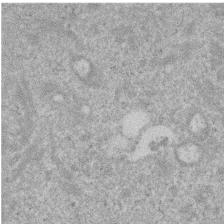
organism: Mouse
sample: Dividing mouse embryo 1 cell stage